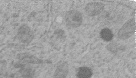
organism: C. elegans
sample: C. elegans embryo early stage